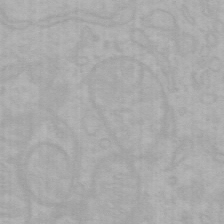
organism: Mouse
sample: Choroid plexus